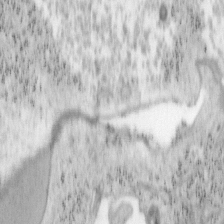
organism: Human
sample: HeLa cells